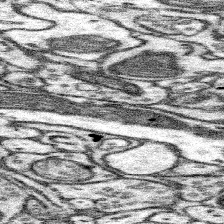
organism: Mouse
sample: Somatosensory cortex neuropil